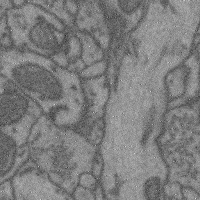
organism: Mouse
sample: Cerebral cortex